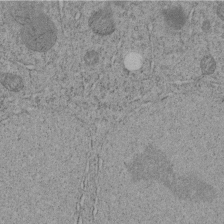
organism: C. elegans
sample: C. elegans embryo early stage